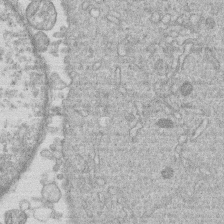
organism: Human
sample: Macrophage cells